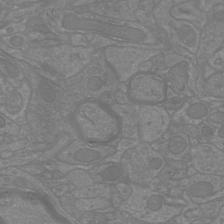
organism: Mouse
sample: Cortical neurons